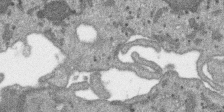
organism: Human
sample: Lung epithelial cells infected with SARS-CoV-2